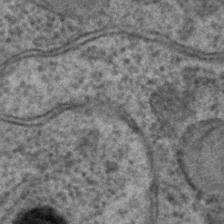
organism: C. elegans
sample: C. elegans embryo